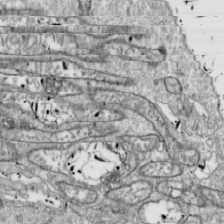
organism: Drosophila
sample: Cell division; meiosis; drosophila spermatocytes